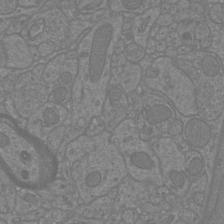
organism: Mouse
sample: Cortical neurons